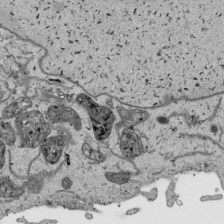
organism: Human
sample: Mitochondria in HCT116 cells